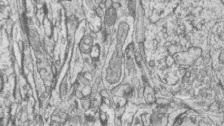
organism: Zebrafish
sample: synaptic ribbons in rod cells and cone cells